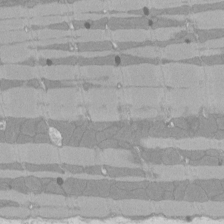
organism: Rat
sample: Left ventricle